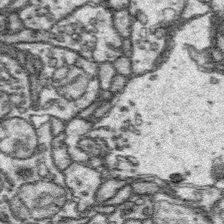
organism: Platynereis dumerilii